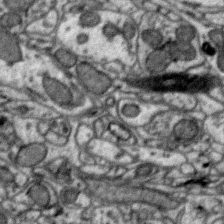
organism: Zebra finch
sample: Brain